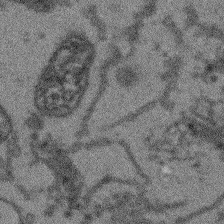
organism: Arabidopsis thaliana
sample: Root tip